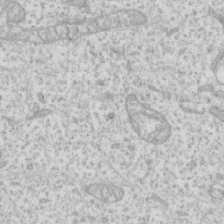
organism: Human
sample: Fibroblast cells